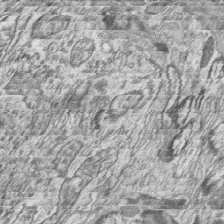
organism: Zebrafish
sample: synaptic ribbons in rod cells and cone cells